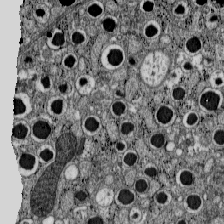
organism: C57BL Mouse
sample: Pancreatic islet